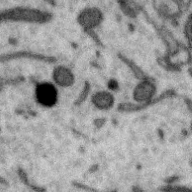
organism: Zebra finch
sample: Brain